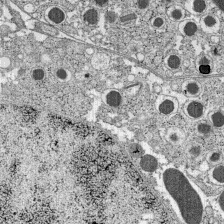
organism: C57BL Mouse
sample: Pancreatic islet